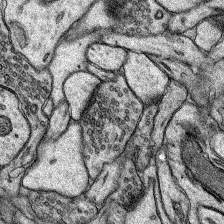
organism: Rat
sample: Hippocampus